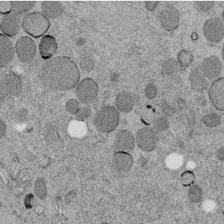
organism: C. elegans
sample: C. elegans embryo early stage